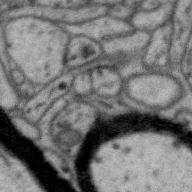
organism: Zebra finch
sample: Brain